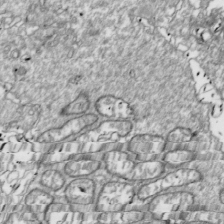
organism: Drosophila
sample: Cell division; meiosis; drosophila spermatocytes